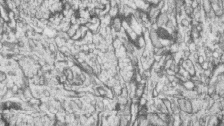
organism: Zebrafish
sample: synaptic ribbons in rod cells and cone cells